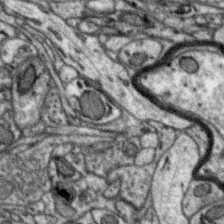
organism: Zebra finch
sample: Brain